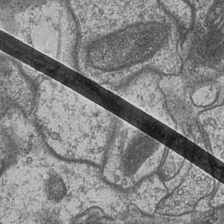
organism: Drosophila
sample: Optic medulla